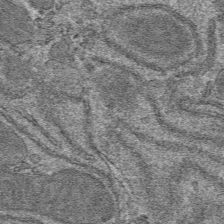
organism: Mouse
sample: Mouse hepatocytes